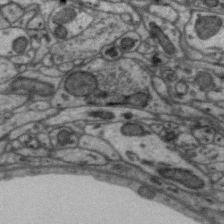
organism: Zebra finch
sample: Brain